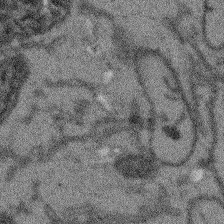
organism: Arabidopsis thaliana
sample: Root tip